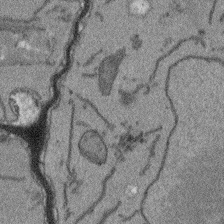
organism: Arabidopsis thaliana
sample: Root tip